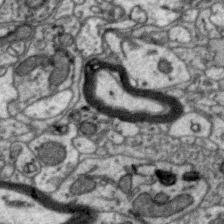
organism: Zebra finch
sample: Brain